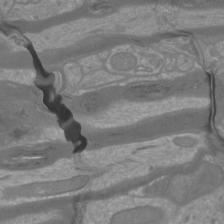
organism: Mouse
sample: Cortical neurons